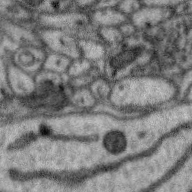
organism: Zebra finch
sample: Brain